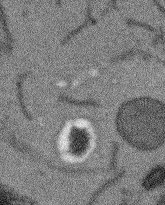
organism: Arabidopsis thaliana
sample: Root tip